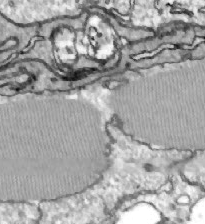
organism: Zebrafish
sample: Actinotrichia fibers